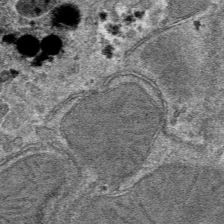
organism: Mouse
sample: Mouse hepatocytes